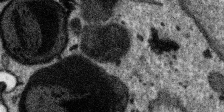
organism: Human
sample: Lung epithelial cells infected with SARS-CoV-2